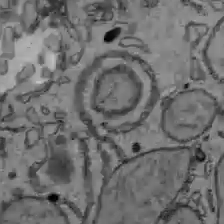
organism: C57BL Mouse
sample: Liver